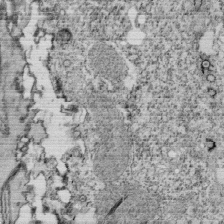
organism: Tetrahymena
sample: Cilia in tetrahymena